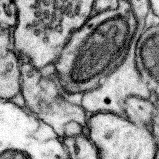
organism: Mouse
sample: Somatosensory cortex neuropil